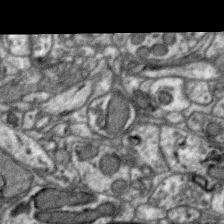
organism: Zebra finch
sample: Brain